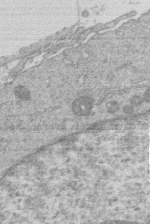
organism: Human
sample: Macrophage cells